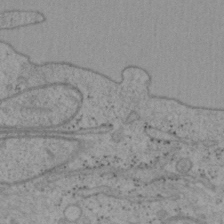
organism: Human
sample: HeLa cells